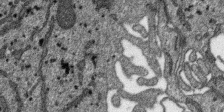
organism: Human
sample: Lung epithelial cells infected with SARS-CoV-2